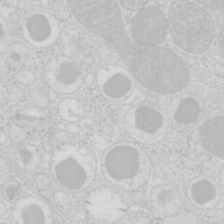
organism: Mouse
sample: Pancreas